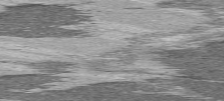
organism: C57BL Mouse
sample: Heart